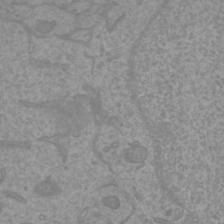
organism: Mouse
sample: Cortical neurons